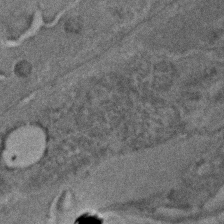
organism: C. elegans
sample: C. elegans embryo